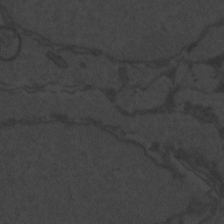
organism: Zebrafish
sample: Macrophage infected with Toxoplasma gondii